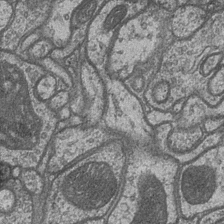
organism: Drosophila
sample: Optic medulla